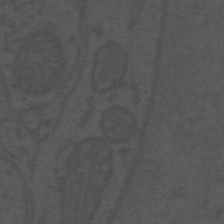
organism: Mouse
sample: Suprachiasmatic nucleus